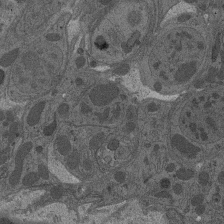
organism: Drosophila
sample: Antenna